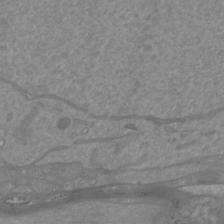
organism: Mouse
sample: Cortical neurons